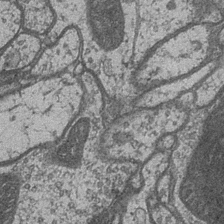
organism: Drosophila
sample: Optic medulla